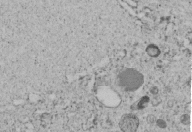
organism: C. elegans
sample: C. elegans embryo early stage